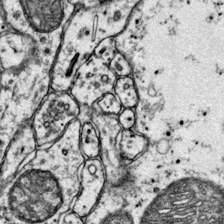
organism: Mouse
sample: Primary visual cortex